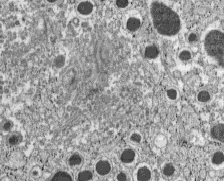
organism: C57BL Mouse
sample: Pancreatic islet